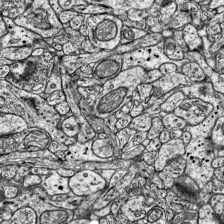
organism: Mouse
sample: Visual Cortex